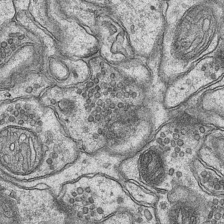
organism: Mouse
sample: CA1 Hippocampus